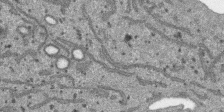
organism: Human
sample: Lung epithelial cells infected with SARS-CoV-2